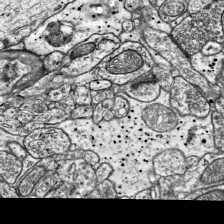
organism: Mouse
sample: Visual Cortex